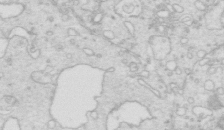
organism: Mouse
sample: Multiciliated cells